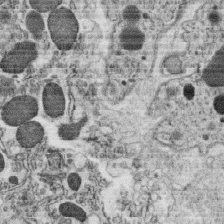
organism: C. elegans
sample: C. elegans oocyte; sperm cells